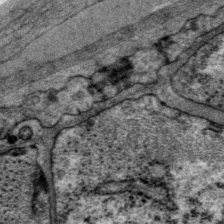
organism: P. pacificus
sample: Pharynx